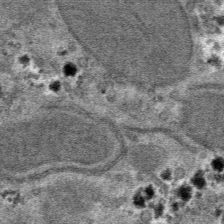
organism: Mouse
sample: Mouse hepatocytes